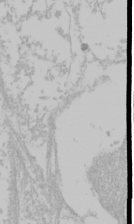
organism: Mouse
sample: Cancer cell death in ED-1 cells